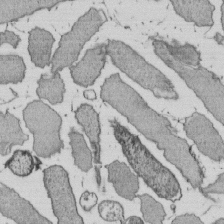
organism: E. coli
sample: Bacterial nucleoid